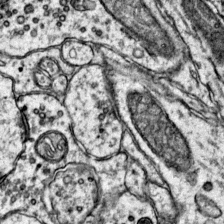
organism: Mouse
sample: Primary visual cortex